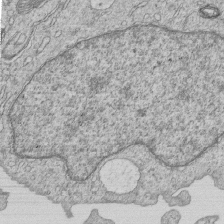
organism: Human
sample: MDA-MB-231 cells